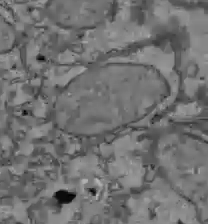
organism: C57BL Mouse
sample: Liver